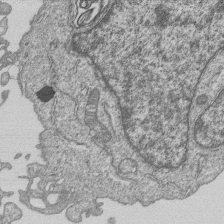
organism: Human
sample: MDA-MB-231 cells